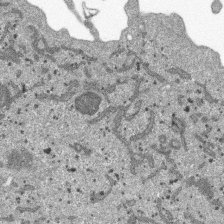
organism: Human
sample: Lung epithelial cells infected with SARS-CoV-2